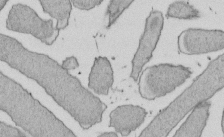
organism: E. coli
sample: Bacterial nucleoid